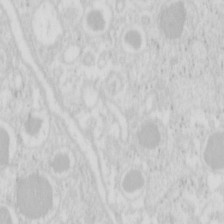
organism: Mouse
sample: Pancreas